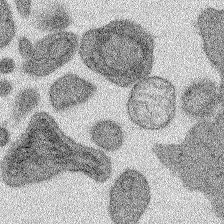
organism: Human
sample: HeLa cells